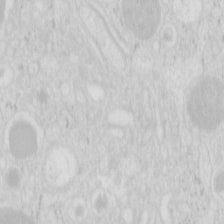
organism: Mouse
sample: Pancreas